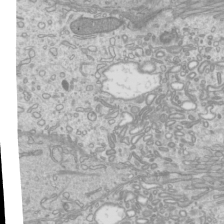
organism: Mouse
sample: Cilia; mouse epididymis